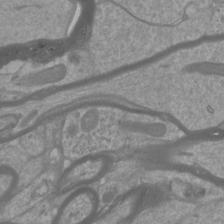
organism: Mouse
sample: Cortical neurons